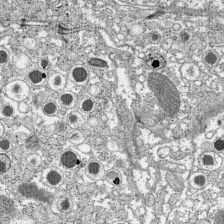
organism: C57BL Mouse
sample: Pancreatic islet